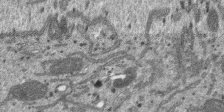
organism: Human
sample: Lung epithelial cells infected with SARS-CoV-2